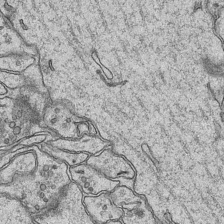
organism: Mouse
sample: CA1 Hippocampus